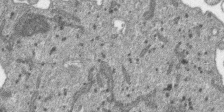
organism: Human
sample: Lung epithelial cells infected with SARS-CoV-2